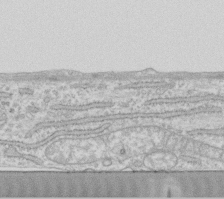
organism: Human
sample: Fibroblast cells